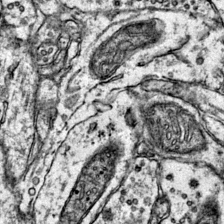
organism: Mouse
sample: Primary visual cortex